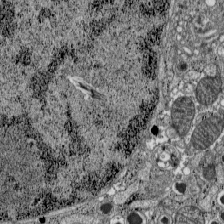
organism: C57BL Mouse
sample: Pancreatic islet